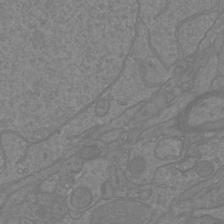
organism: Mouse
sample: Cortical neurons